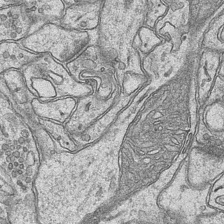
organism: Mouse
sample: CA1 Hippocampus